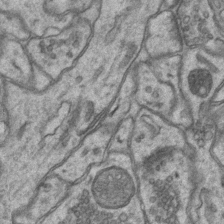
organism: Mouse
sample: CA1 Hippocampus